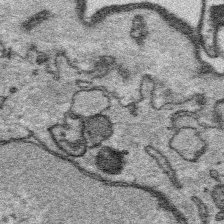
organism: Platynereis dumerilii